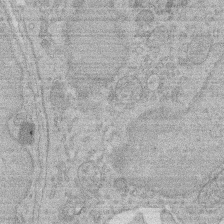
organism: Rat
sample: Salivary granule